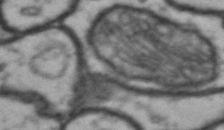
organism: Drosophila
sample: Brain